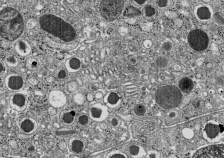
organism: C57BL Mouse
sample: Pancreatic islet